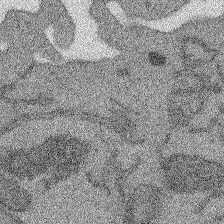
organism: Human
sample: HeLa cells